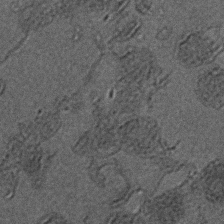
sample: Trachea